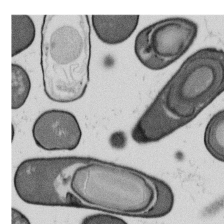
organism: B. subtilis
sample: Bacterial spore